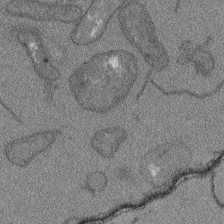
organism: Arabidopsis thaliana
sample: Root tip